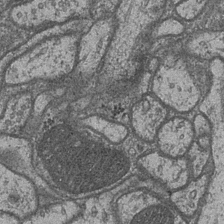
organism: Drosophila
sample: Optic medulla